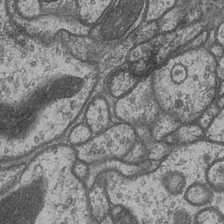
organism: Drosophila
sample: Optic medulla